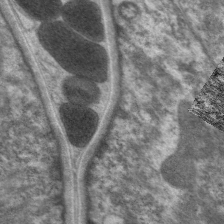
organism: C. elegans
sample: Pharynx